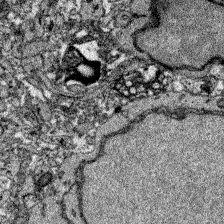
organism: Zebrafish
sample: Larval olfactory bulb